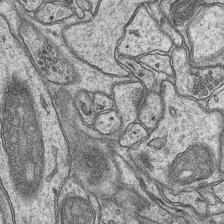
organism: Mouse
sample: CA1 Hippocampus